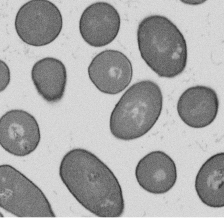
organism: B. subtilis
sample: Bacterial spore